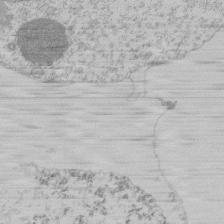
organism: Mouse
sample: Activated Pmel transgenic CD8+ T Cells